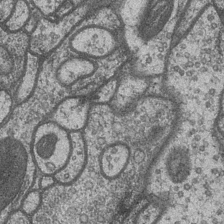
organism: Drosophila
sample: Optic medulla